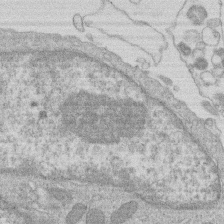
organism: Human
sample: Macrophage cells